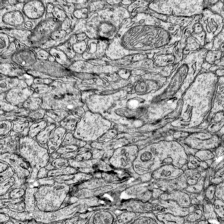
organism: Mouse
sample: Visual Cortex